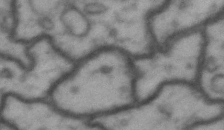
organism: Drosophila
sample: Brain